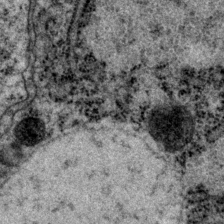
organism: P. pacificus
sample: Pharynx